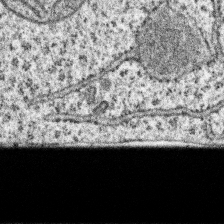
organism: Human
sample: HeLa cells